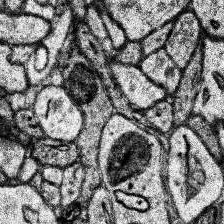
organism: Human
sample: Temporal Lobe